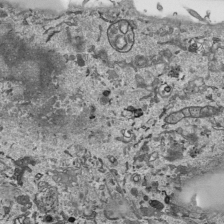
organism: Human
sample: Mitochondria in HCT116 cells